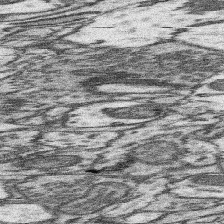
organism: Mouse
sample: Somatosensory cortex neuropil